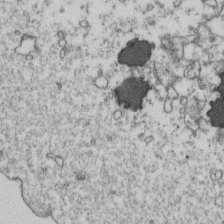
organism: Human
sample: Activated Jurkat CD4+ T cells